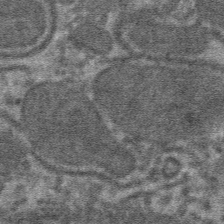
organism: Mouse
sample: Mouse hepatocytes